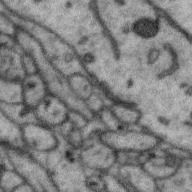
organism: Zebra finch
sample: Brain